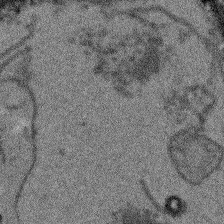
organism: Arabidopsis thaliana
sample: Root tip